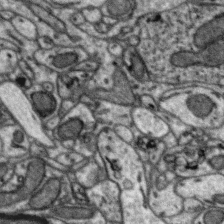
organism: Zebra finch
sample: Brain